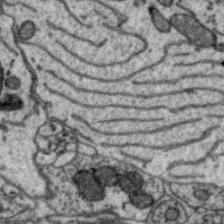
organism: Zebra finch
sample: Brain